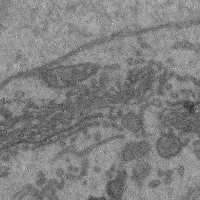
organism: Mouse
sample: Cerebral cortex